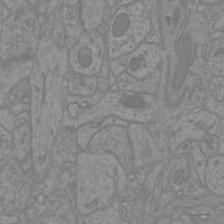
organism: Mouse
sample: Cortical neurons